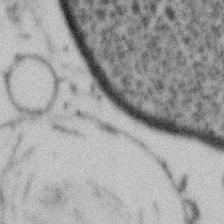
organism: Gemmata obscuriglobus